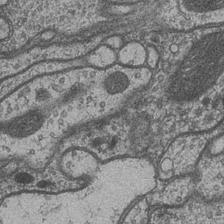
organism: Drosophila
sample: Optic medulla